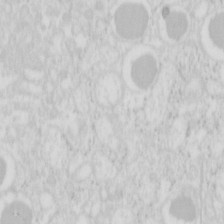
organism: Mouse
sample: Pancreas